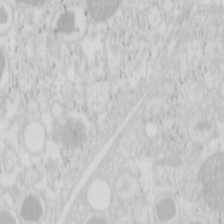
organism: Mouse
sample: Pancreas